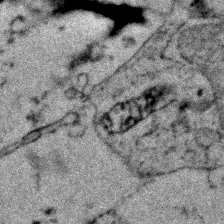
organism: Zebrafish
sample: Zebrafish embryo